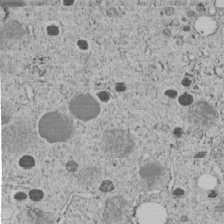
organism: C. elegans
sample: C. elegans embryo early stage